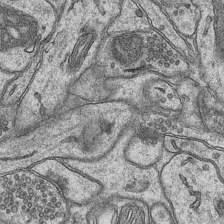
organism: Mouse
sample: CA1 Hippocampus